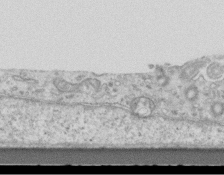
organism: Mouse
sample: Centriole in ependymal cells